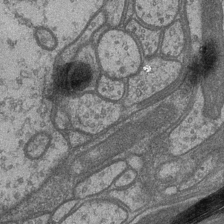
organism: Drosophila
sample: Optic medulla